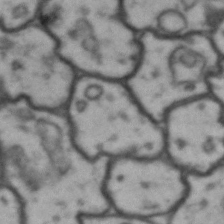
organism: Drosophila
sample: Brain